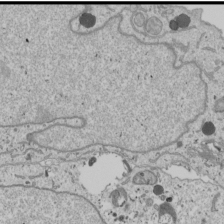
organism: Human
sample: Mitochondria in U2OS cells